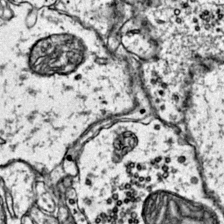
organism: Mouse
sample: Primary visual cortex